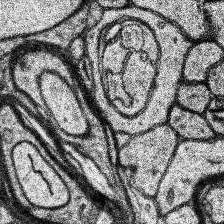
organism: Human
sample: Temporal Lobe